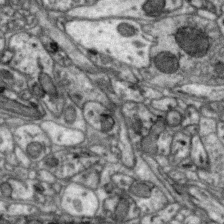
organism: Zebra finch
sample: Brain